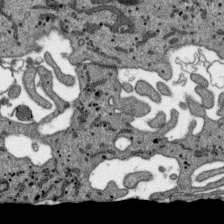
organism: Human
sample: Lung epithelial cells, uninfected (mock) control